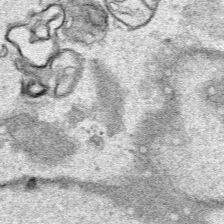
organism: Human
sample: Mitochondria in HCT116 cells